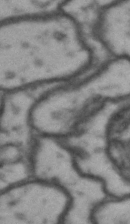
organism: Drosophila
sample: Brain